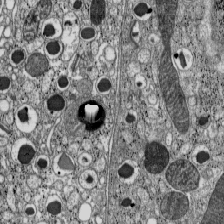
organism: C57BL Mouse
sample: Pancreatic islet